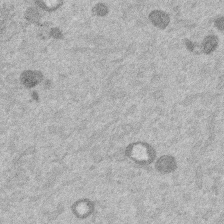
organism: Mouse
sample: Dividing mouse embryo 1 cell stage